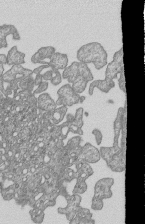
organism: Human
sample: MDA-MB-231 cells